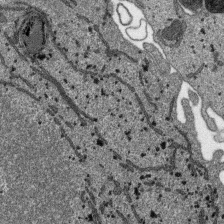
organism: Human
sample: Lung epithelial cells infected with SARS-CoV-2